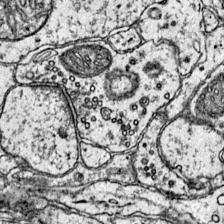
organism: Mouse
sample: Primary visual cortex